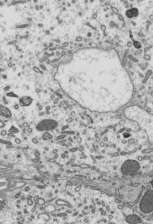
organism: Mouse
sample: Mouse epididymis efferent ductule cilia